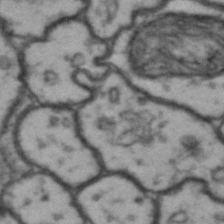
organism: Drosophila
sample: Brain